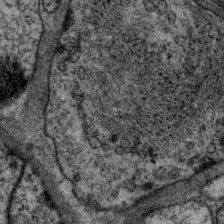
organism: P. pacificus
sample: Pharynx